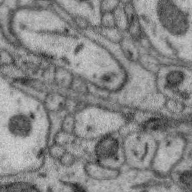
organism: Zebra finch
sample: Brain